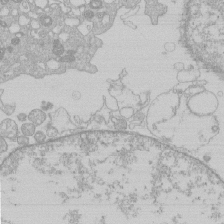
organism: Human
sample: Macrophage cells